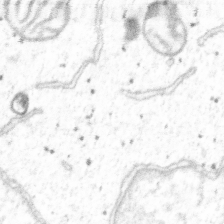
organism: Human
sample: HeLa cells